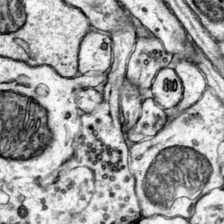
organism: Mouse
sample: Primary visual cortex